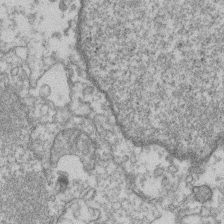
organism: Mouse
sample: T cell stromal cell synapse